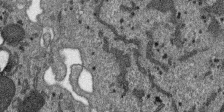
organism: Human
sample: Lung epithelial cells infected with SARS-CoV-2